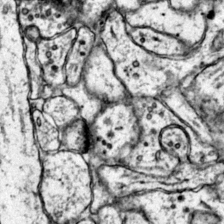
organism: Mouse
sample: Primary visual cortex